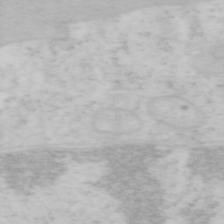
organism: Mouse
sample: OT-I killer T cells with ID8 ovarian cancer cells